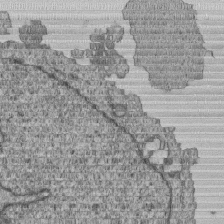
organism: Human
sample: MDA-MB-231 cells